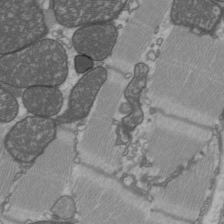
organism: C57BL Mouse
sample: Heart